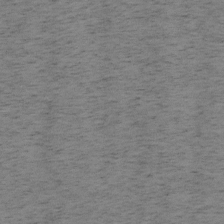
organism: Mouse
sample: OT-I killer T cells with ID8 ovarian cancer cells